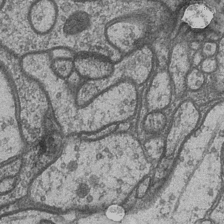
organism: Drosophila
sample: Optic medulla